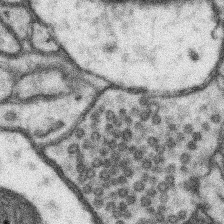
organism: Mouse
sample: Somatosensory cortex neuropil